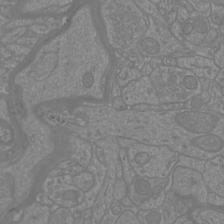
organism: Mouse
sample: Cortical neurons